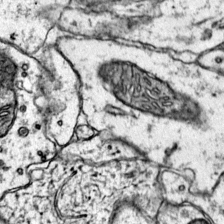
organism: Mouse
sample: Primary visual cortex